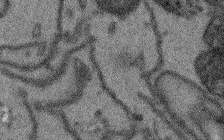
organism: Arabidopsis thaliana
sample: Root tip